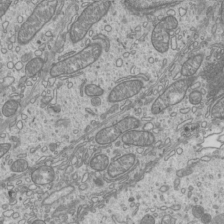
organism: Mouse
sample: Cilia; mouse epididymis